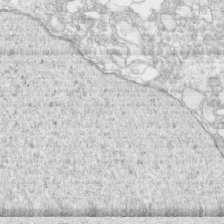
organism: Human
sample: CRL-1474